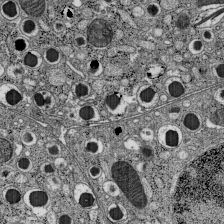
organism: C57BL Mouse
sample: Pancreatic islet